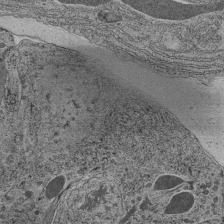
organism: C. elegans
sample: C. elegans pharynx